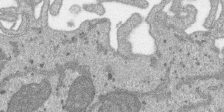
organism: Human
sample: Lung epithelial cells infected with SARS-CoV-2